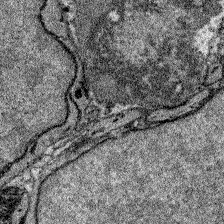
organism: Zebrafish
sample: Larval olfactory bulb